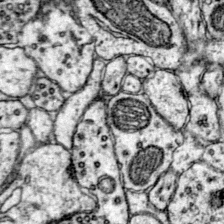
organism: Mouse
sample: Primary visual cortex